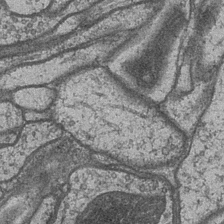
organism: Drosophila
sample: Optic medulla